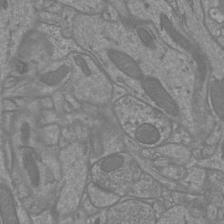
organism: Mouse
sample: Cortical neurons